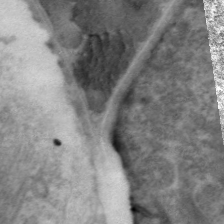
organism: C. elegans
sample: Pharynx